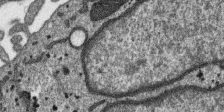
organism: Human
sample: Lung epithelial cells infected with SARS-CoV-2